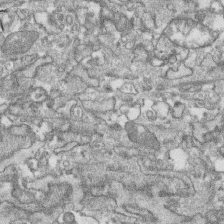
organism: Human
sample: CRL-1474